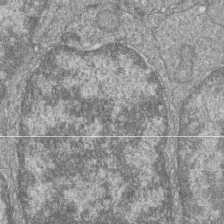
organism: Zebrafish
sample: Cilia; retinal pigment epithelium